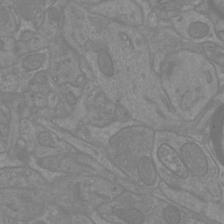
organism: Mouse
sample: Cortical neurons